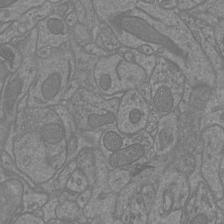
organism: Mouse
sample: Cortical neurons